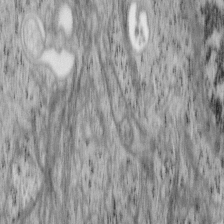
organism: Human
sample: HeLa cells